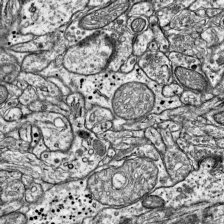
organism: Mouse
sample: Visual Cortex